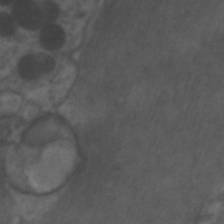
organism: C. elegans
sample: Pharynx